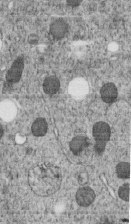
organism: C. elegans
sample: C. elegans embryo early stage